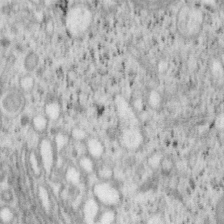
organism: Mouse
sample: OT-I killer T cells with ID8 ovarian cancer cells